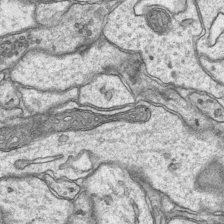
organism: Mouse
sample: CA1 Hippocampus